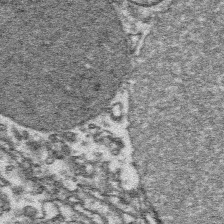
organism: Platynereis dumerilii